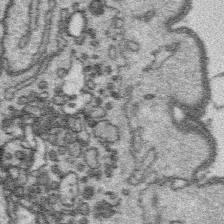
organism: Platynereis dumerilii